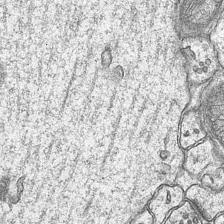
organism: Mouse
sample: CA1 Hippocampus